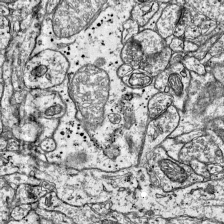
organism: Mouse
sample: Visual Cortex